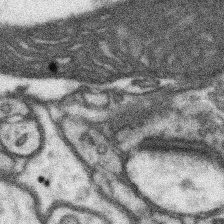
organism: Mouse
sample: Somatosensory cortex neuropil